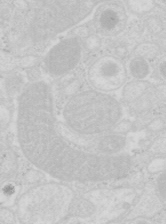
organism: Mouse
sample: Pancreas